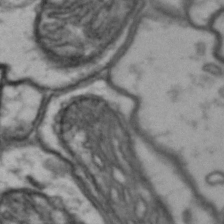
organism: Drosophila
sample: Brain